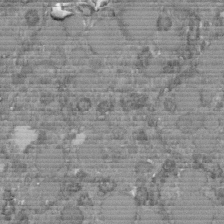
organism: C. elegans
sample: C. elegans embryo early stage